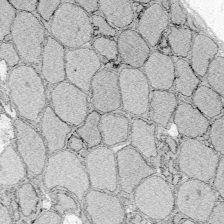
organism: Zebrafish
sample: Whole-Brain